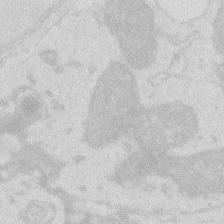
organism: Zebrafish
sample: Macrophage